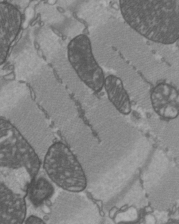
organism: C57BL Mouse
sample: Heart